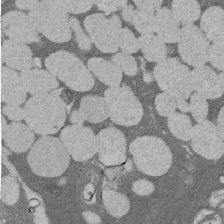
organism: Rat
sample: Salivary granule